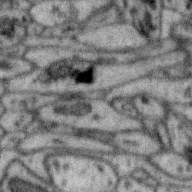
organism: Zebra finch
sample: Brain